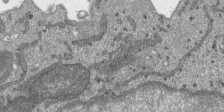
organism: Human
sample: Lung epithelial cells infected with SARS-CoV-2